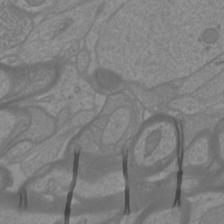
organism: Mouse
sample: Cortical neurons